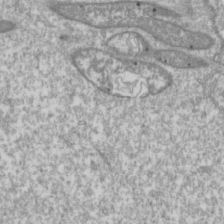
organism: Drosophila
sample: Cell division; meiosis; drosophila spermatocytes